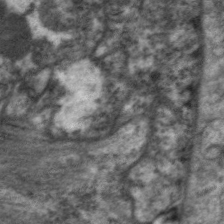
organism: C. elegans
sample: Pharynx